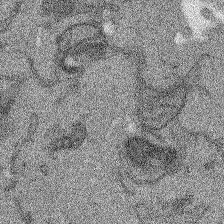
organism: Human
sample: HeLa cells